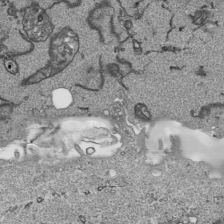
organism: Human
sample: Mitochondria in HCT116 cells